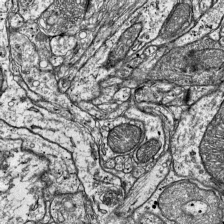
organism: Mouse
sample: Visual Cortex